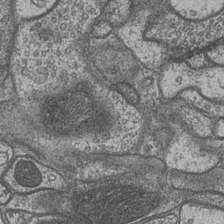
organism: Drosophila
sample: Optic medulla